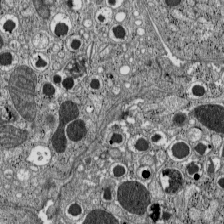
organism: C57BL Mouse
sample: Pancreatic islet